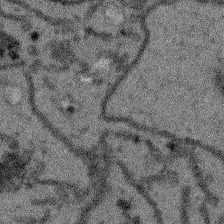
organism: Arabidopsis thaliana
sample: Root tip